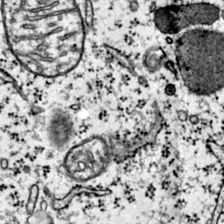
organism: Mouse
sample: Primary visual cortex